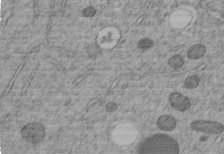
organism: C. elegans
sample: C. elegans embryo early stage